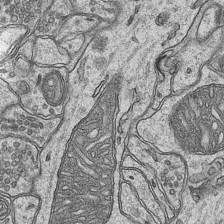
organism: Mouse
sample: CA1 Hippocampus